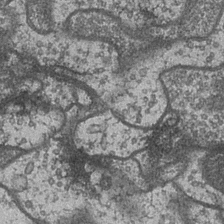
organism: Drosophila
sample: Optic medulla